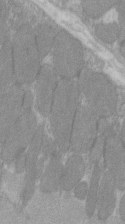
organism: C57BL Mouse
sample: Tibialis anterior muscle cell